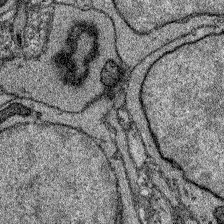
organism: Zebrafish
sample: Larval olfactory bulb